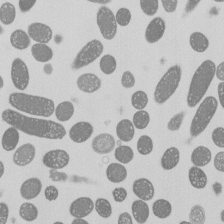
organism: E. coli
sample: Bacterial nucleoid